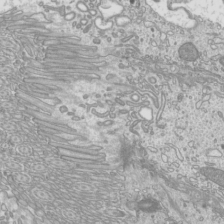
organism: Mouse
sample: Cilia; mouse epididymis